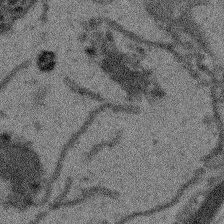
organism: Arabidopsis thaliana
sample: Root tip